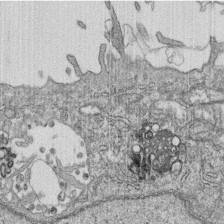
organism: Human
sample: HeLa cell HIV synapse